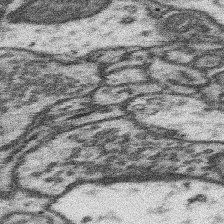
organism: Mouse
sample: Somatosensory cortex neuropil